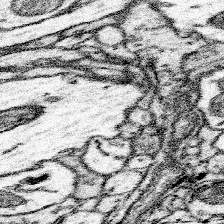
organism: Mouse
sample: Somatosensory cortex neuropil